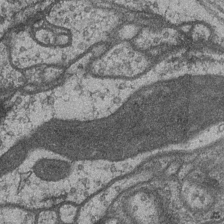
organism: Drosophila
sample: Optic medulla